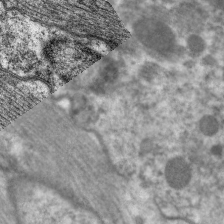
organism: C. elegans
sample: Pharynx